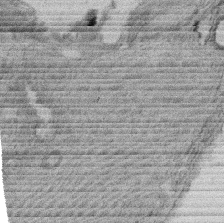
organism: Rat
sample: Salivary granule